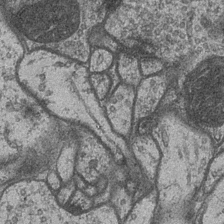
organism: Drosophila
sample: Optic medulla